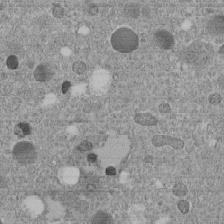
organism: C. elegans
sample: C. elegans embryo early stage